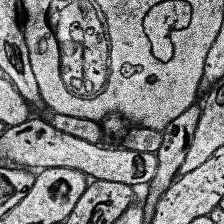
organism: Human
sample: Temporal Lobe